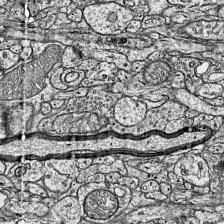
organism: Mouse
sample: Visual Cortex